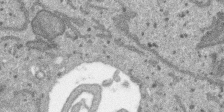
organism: Human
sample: Lung epithelial cells infected with SARS-CoV-2